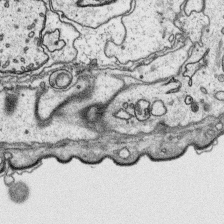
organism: Platynereis dumerilii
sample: Parapodia